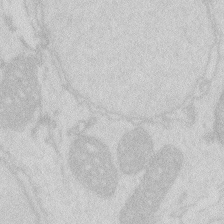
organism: Zebrafish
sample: Macrophage